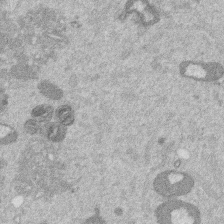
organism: Mouse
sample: Dividing mouse embryo 1 cell stage